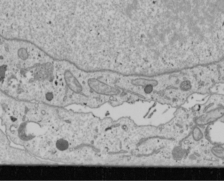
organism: Human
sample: Mitochondria in U2OS cells